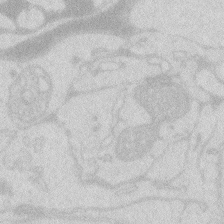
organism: Zebrafish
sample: Macrophage